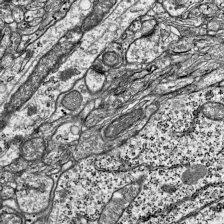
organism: Mouse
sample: Visual Cortex